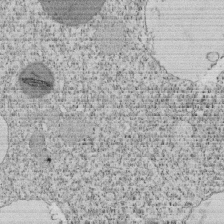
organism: Tetrahymena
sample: Cilia in tetrahymena